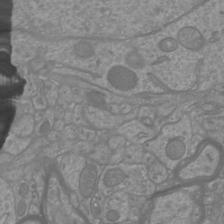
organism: Mouse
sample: Cortical neurons